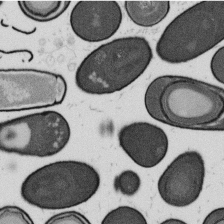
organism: B. subtilis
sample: Bacterial spore